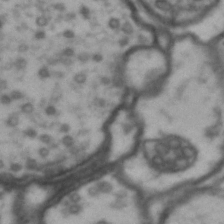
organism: Drosophila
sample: Brain